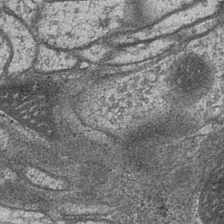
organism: Drosophila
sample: Optic medulla